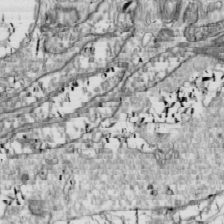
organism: Drosophila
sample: Cell division; meiosis; drosophila spermatocytes